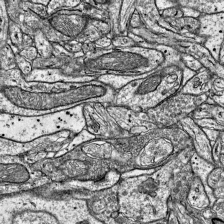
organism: Mouse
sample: Visual Cortex